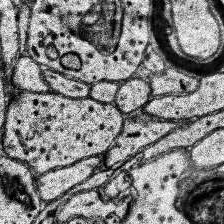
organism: Human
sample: Temporal Lobe